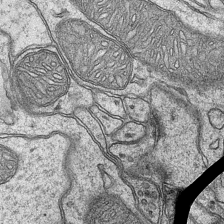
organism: Mouse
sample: CA1 Hippocampus